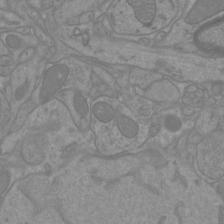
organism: Mouse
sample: Cortical neurons